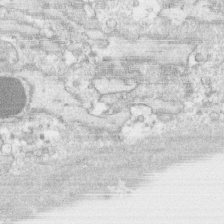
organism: Human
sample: CRL-1474